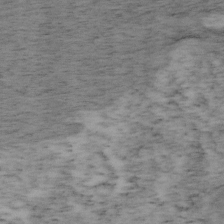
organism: Mouse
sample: OT-I killer T cells with ID8 ovarian cancer cells